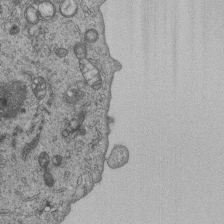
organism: Human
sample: MDA-MB-231 cells